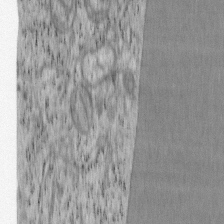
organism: Human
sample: HeLa cells